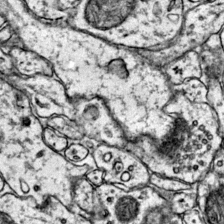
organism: Mouse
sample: Primary visual cortex